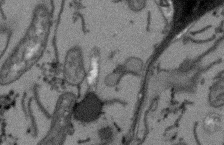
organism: Arabidopsis thaliana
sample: Root tip